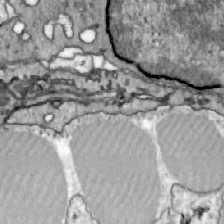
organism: Zebrafish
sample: Actinotrichia fibers